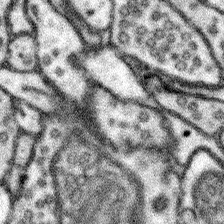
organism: Mouse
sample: Somatosensory cortex neuropil